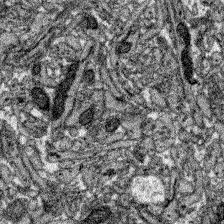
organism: Zebrafish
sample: Larval olfactory bulb